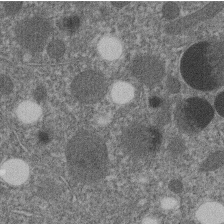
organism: C. elegans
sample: C. elegans embryo early stage